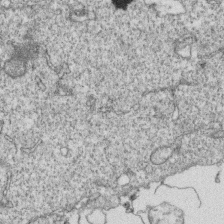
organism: Human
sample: HeLa cell HIV synapse